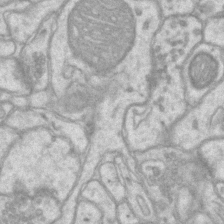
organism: Mouse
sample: CA1 Hippocampus